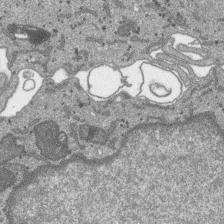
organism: Human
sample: Lung epithelial cells infected with SARS-CoV-2